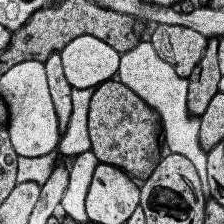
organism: Human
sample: Temporal Lobe